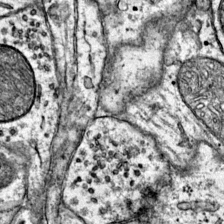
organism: Mouse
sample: Primary visual cortex